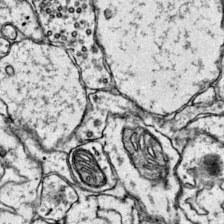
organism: Mouse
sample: Primary visual cortex